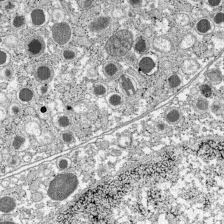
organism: C57BL Mouse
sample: Pancreatic islet